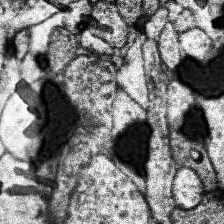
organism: Human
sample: Temporal Lobe